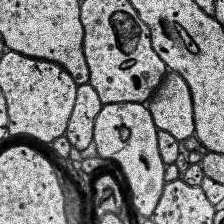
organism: Human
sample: Temporal Lobe